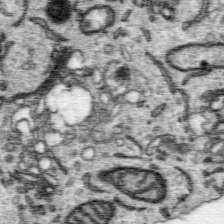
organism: Human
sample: HeLa cells